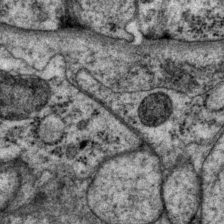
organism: P. pacificus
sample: Pharynx